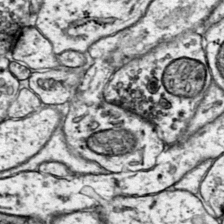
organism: Mouse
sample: Primary visual cortex